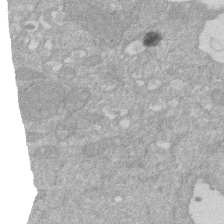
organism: Human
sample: HIV infected U937 cells